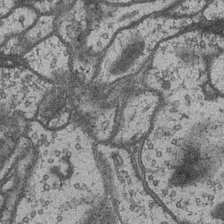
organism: Drosophila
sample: Optic medulla